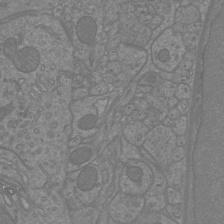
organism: Mouse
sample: Cortical neurons